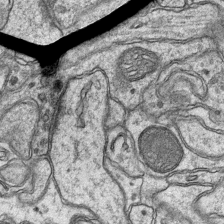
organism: Mouse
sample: CA1 Hippocampus